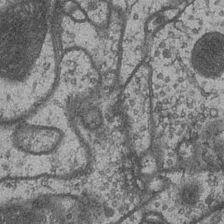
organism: Drosophila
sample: Optic medulla